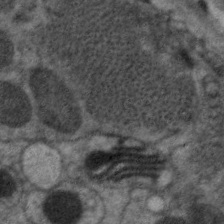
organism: C. elegans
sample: Pharynx